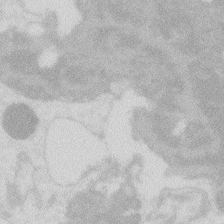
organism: Zebrafish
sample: Macrophage